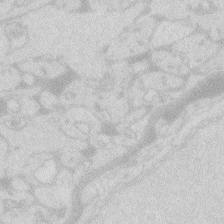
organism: Zebrafish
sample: Macrophage